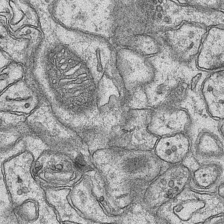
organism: Mouse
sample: CA1 Hippocampus